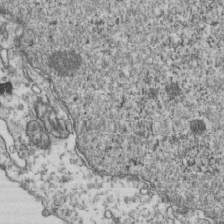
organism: Human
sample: Activated Jurkat CD4+ T cells